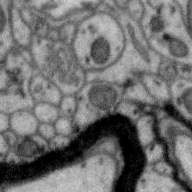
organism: Zebra finch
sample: Brain